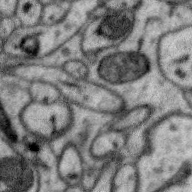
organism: Zebra finch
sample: Brain